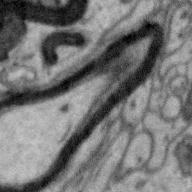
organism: Zebra finch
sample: Brain